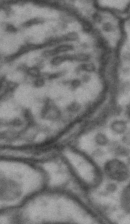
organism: Drosophila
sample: Brain